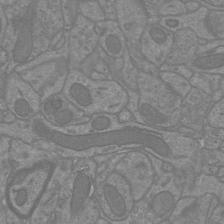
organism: Mouse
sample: Cortical neurons